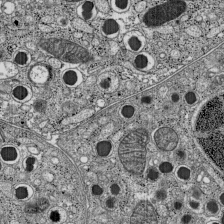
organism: C57BL Mouse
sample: Pancreatic islet